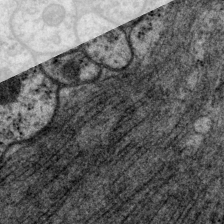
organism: P. pacificus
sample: Pharynx